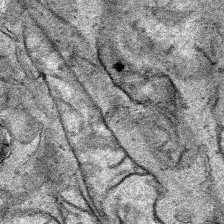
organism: Human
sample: Mitochondria in HCT116 cells